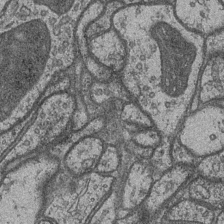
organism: Drosophila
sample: Optic medulla